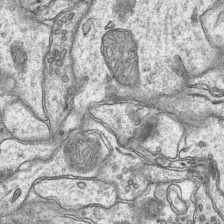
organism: Mouse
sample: CA1 Hippocampus